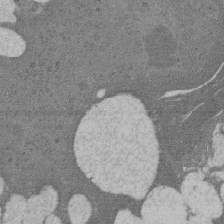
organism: Rat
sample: Salivary granule